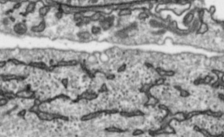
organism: Toxoplasma gondii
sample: Parasites in a vacuole inside a host cell